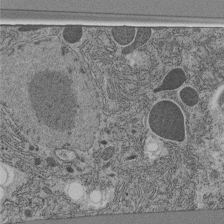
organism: C. elegans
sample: C. elegans pharynx